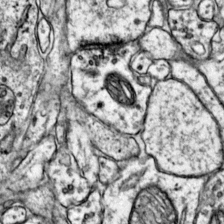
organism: Mouse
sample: Primary visual cortex